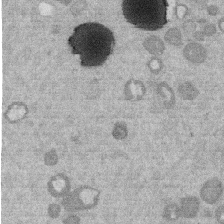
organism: Mouse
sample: Dividing mouse embryo 1 cell stage